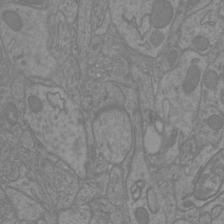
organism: Mouse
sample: Cortical neurons